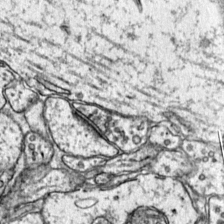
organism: Mouse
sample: Primary visual cortex